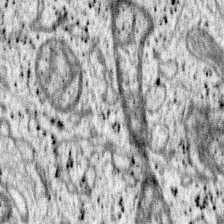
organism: Human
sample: HeLa cells